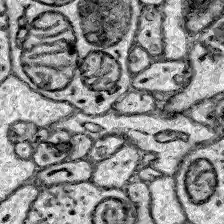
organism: Zebrafish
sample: Brain